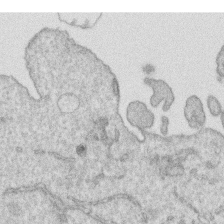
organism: Human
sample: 1205lu cells